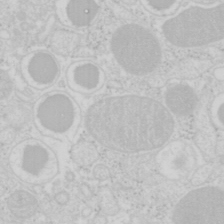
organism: Mouse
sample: Pancreas